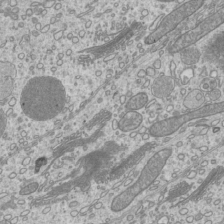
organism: Mouse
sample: Cilia; mouse epididymis